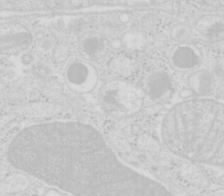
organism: Mouse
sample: Pancreas